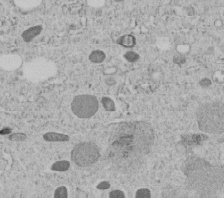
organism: C. elegans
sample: C. elegans embryo early stage